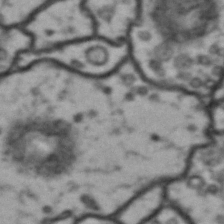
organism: Drosophila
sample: Brain